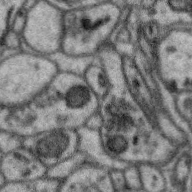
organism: Zebra finch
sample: Brain